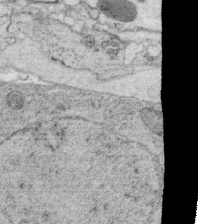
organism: C. elegans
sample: C. elegans oocyte; sperm cells